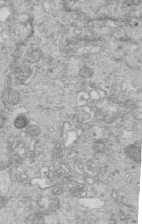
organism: Mouse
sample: Multiciliated cells